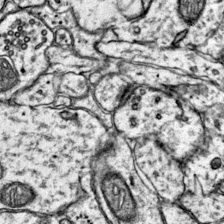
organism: Mouse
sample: Primary visual cortex